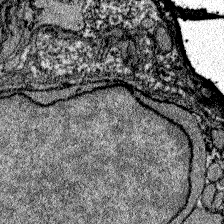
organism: Zebrafish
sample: Larval olfactory bulb